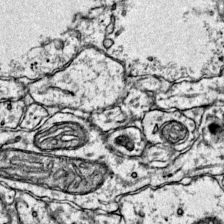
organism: Mouse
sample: Primary visual cortex